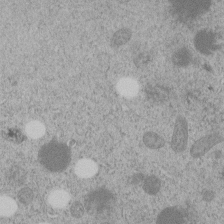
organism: C. elegans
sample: C. elegans embryo early stage